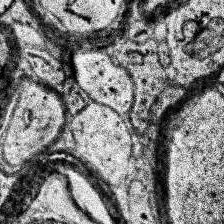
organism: Human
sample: Temporal Lobe